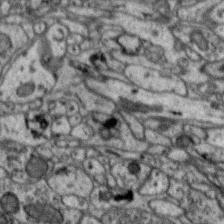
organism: Zebra finch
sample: Brain